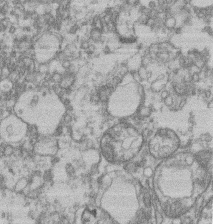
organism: Mouse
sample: T cell stromal cell synapse